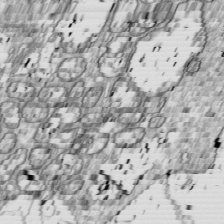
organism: Drosophila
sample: Cell division; meiosis; drosophila spermatocytes